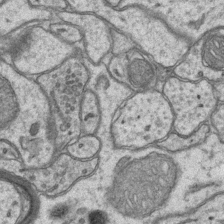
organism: Mouse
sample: CA1 Hippocampus